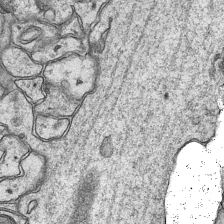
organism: Mouse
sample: CA1 Hippocampus